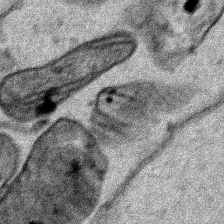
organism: Human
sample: Mitochondria in HCT116 cells